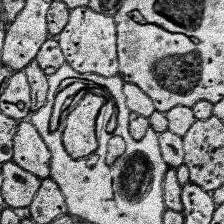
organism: Human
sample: Temporal Lobe